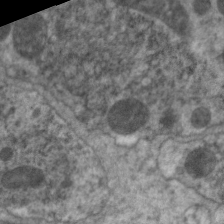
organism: C. elegans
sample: Pharynx